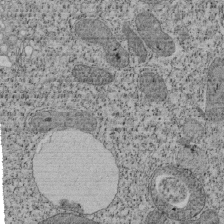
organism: Tetrahymena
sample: Cilia in tetrahymena